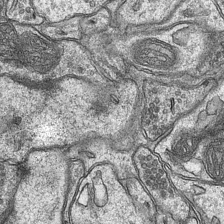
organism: Mouse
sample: CA1 Hippocampus